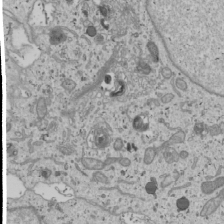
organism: Human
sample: Mitochondria in U2OS cells